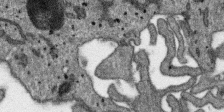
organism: Human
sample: Lung epithelial cells, uninfected (mock) control